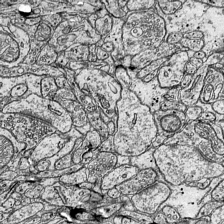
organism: Mouse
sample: Visual Cortex